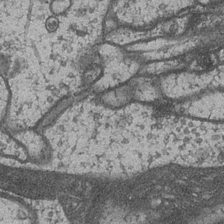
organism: Drosophila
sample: Optic medulla